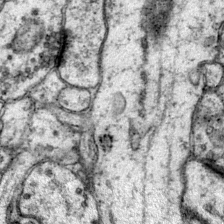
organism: Mouse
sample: Primary visual cortex